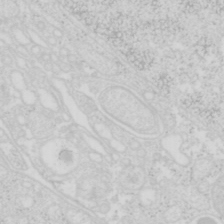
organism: Mouse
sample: Pancreas